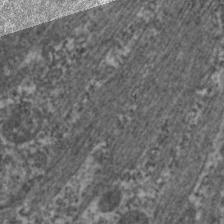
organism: C. elegans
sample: Pharynx